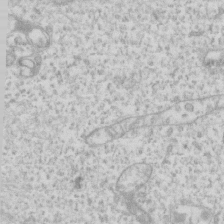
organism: Human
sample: Fibroblast cells